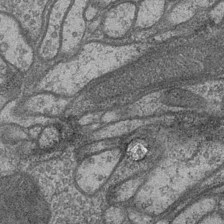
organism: Drosophila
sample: Optic medulla